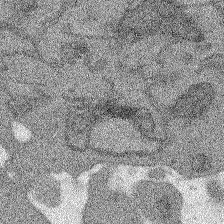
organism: Human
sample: HeLa cells